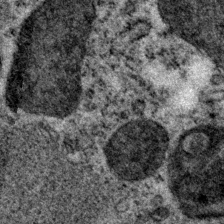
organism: P. pacificus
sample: Pharynx